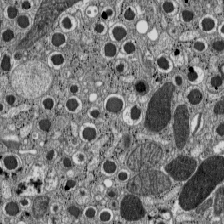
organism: C57BL Mouse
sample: Pancreatic islet